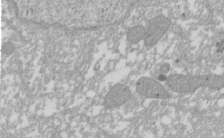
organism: Xenopus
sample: Cilia; centrioles in frog embryo cells